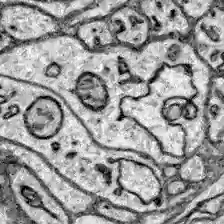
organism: Zebrafish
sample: Brain